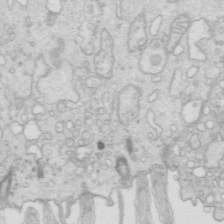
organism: Mouse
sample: Multiciliated cells